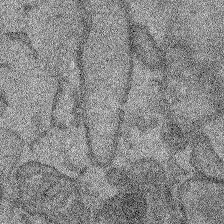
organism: Human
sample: HeLa cells